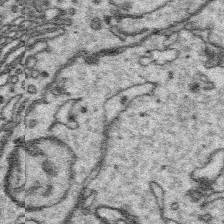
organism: Platynereis dumerilii